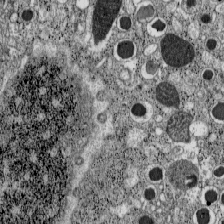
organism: C57BL Mouse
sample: Pancreatic islet